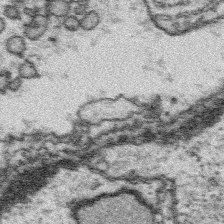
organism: Platynereis dumerilii